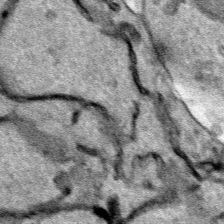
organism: Human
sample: Mitochondria in HCT116 cells